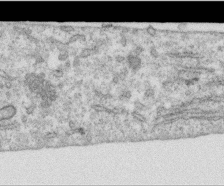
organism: Human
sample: Centriole in RPE cells